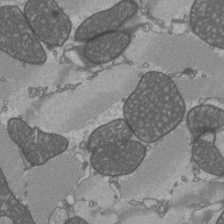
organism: C57BL Mouse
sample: Heart